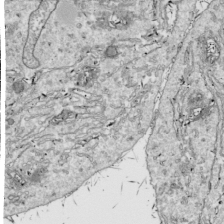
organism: Drosophila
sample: Cell division; meiosis; drosophila spermatocytes